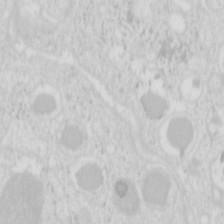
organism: Mouse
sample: Pancreas